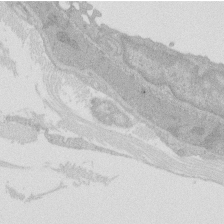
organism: Rat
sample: Salivary granule